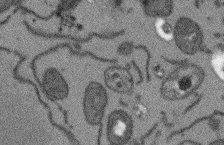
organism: Arabidopsis thaliana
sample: Root tip